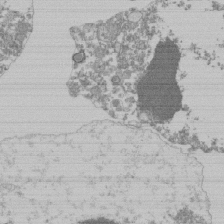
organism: Mouse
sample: Activated Pmel transgenic CD8+ T Cells